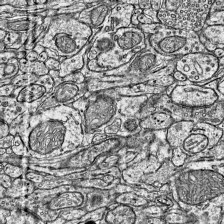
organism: Mouse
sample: Visual Cortex